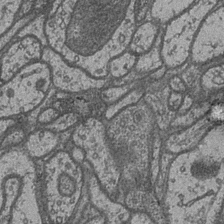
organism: Drosophila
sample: Optic medulla